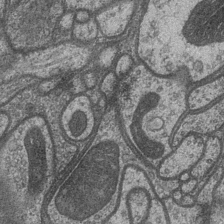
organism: Drosophila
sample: Optic medulla